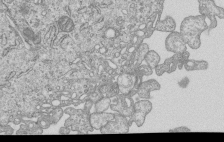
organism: Human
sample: MDA-MB-231 cells